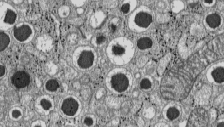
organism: C57BL Mouse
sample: Pancreatic islet